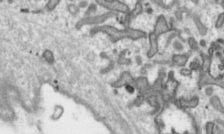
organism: Toxoplasma gondii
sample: Parasites in a vacuole inside a host cell